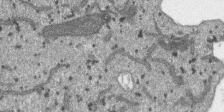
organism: Human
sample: Lung epithelial cells infected with SARS-CoV-2